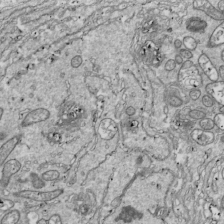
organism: Drosophila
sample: Cell division; meiosis; drosophila spermatocytes